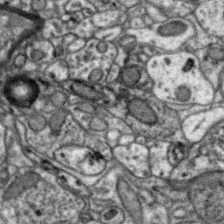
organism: Zebra finch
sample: Brain